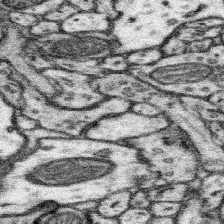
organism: Mouse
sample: Somatosensory cortex neuropil